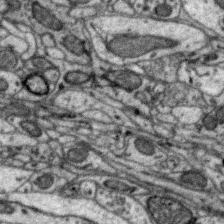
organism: Zebra finch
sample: Brain